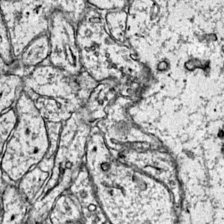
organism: Mouse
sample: Primary visual cortex